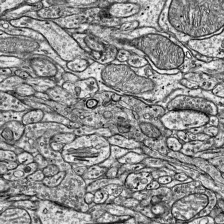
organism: Mouse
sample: Visual Cortex